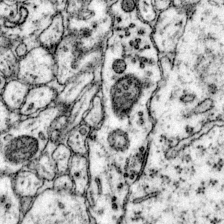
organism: Mouse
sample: Primary visual cortex